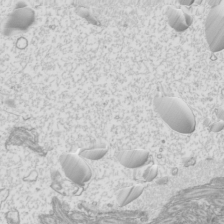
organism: Mouse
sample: Cilia; mouse epididymis